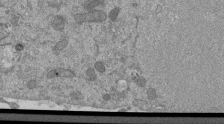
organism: Mouse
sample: ED-1 cell nuclei; centrioles